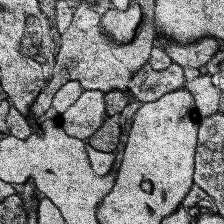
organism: Human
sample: Temporal Lobe